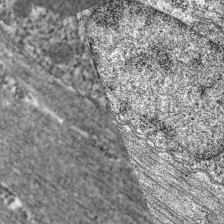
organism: C. elegans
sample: Pharynx